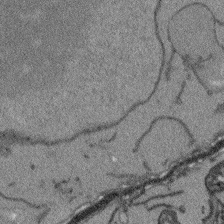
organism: Arabidopsis thaliana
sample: Root tip